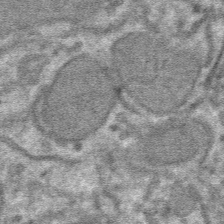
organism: Mouse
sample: Mouse hepatocytes